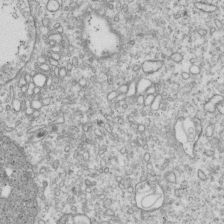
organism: Human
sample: MDA-MB-231 cells